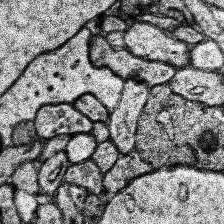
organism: Human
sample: Temporal Lobe